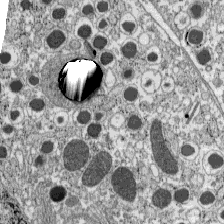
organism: C57BL Mouse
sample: Pancreatic islet